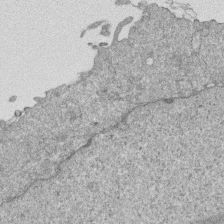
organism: Human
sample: HeLa cell HIV synapse